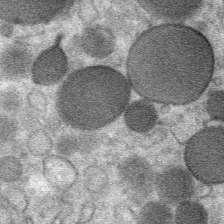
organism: Mouse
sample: Mouse Salivary gland